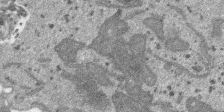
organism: Human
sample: Lung epithelial cells infected with SARS-CoV-2